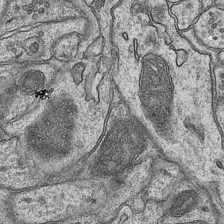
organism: Mouse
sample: CA1 Hippocampus